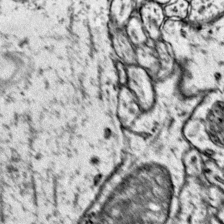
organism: Mouse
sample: Primary visual cortex